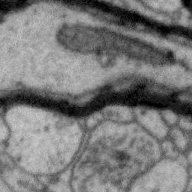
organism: Zebra finch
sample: Brain